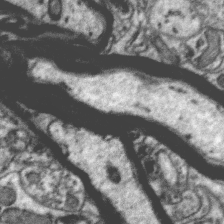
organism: Zebra finch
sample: Brain